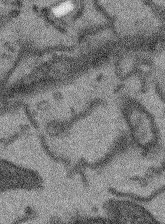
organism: Arabidopsis thaliana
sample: Root tip